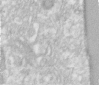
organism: Human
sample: Centriole in RPE cells